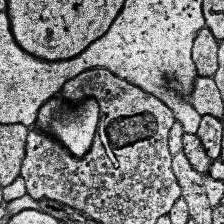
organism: Human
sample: Temporal Lobe